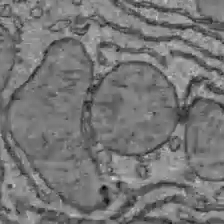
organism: C57BL Mouse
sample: Liver